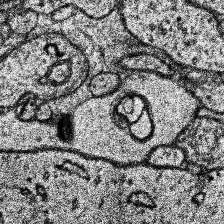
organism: Human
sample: Temporal Lobe